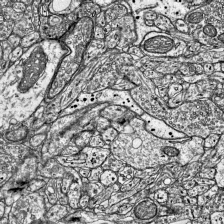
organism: Mouse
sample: Visual Cortex